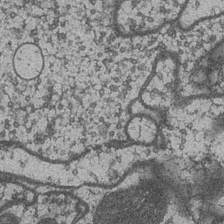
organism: Drosophila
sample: Optic medulla